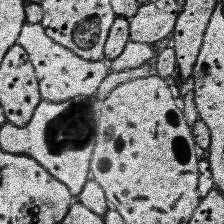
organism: Human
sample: Temporal Lobe